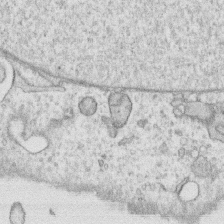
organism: Human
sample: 1205lu cells